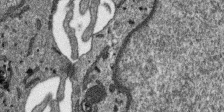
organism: Human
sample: Lung epithelial cells infected with SARS-CoV-2